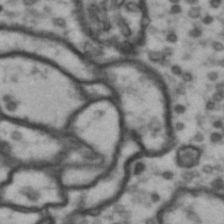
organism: Drosophila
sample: Brain